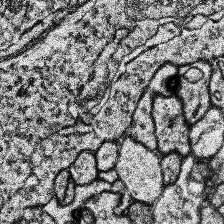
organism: Human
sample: Temporal Lobe